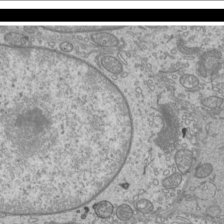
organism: Mouse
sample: Cilia; mouse epididymis